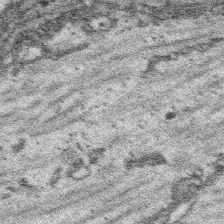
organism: Platynereis dumerilii